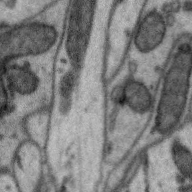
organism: Zebra finch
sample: Brain